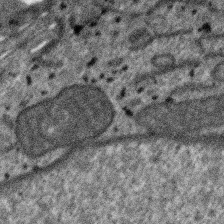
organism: Human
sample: Lung epithelial cells infected with SARS-CoV-2